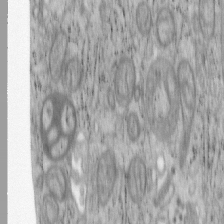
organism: Human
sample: HeLa cells